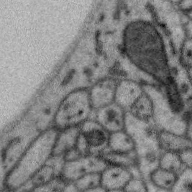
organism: Zebra finch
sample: Brain